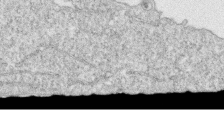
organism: Human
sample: HeLa cell HIV synapse